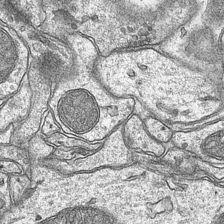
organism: Mouse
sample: CA1 Hippocampus